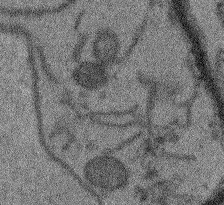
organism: Arabidopsis thaliana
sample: Root tip